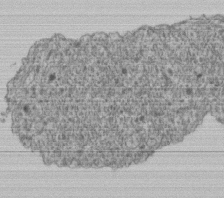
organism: Human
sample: Retinal organoid Rod and Cone cells